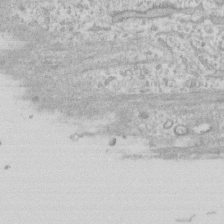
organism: Human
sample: Fibroblast cells